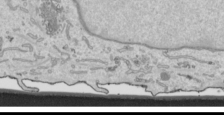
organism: Human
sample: Mitochondria in HCT116 cells